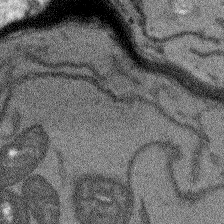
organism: Arabidopsis thaliana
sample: Root tip